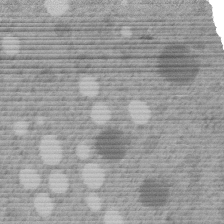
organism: C. elegans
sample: C. elegans embryo early stage